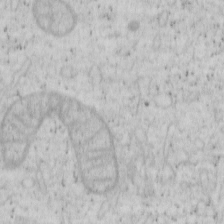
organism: Human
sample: HeLa cells